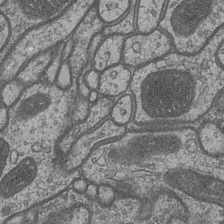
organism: Drosophila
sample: Optic medulla